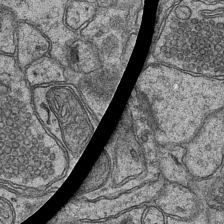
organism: Mouse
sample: CA1 Hippocampus